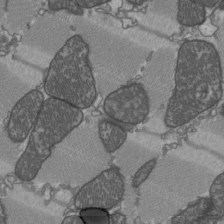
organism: C57BL Mouse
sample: Heart